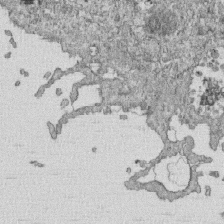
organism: Human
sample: HeLa cell HIV synapse